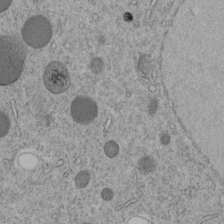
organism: C. elegans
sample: C. elegans embryo early stage